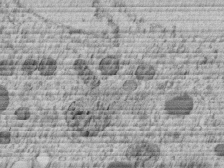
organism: C. elegans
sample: C. elegans embryo early stage